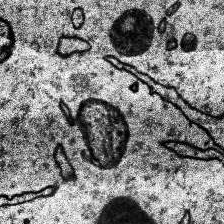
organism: Human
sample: Temporal Lobe